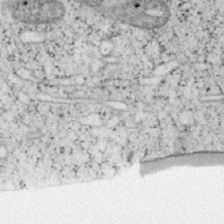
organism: Mouse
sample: OT-I killer T cells with ID8 ovarian cancer cells